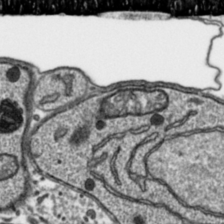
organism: Toxoplasma gondii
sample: Parasites in a vacuole inside a host cell